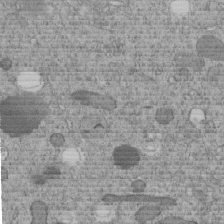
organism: C. elegans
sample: C. elegans embryo early stage